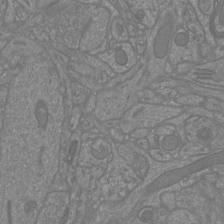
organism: Mouse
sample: Cortical neurons